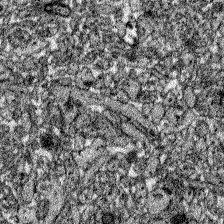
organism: Zebrafish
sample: Larval olfactory bulb